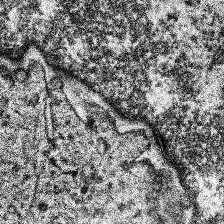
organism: Human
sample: Temporal Lobe